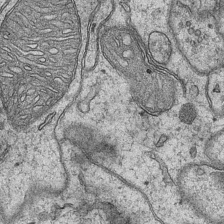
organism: Mouse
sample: CA1 Hippocampus